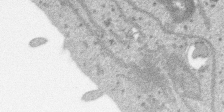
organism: Human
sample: Lung epithelial cells infected with SARS-CoV-2